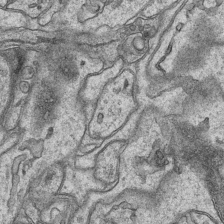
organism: Mouse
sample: CA1 Hippocampus